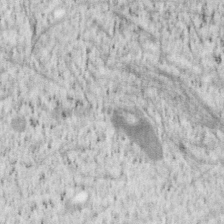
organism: Mouse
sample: OT-I killer T cells with ID8 ovarian cancer cells